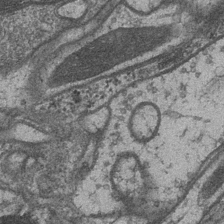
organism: Drosophila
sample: Optic medulla